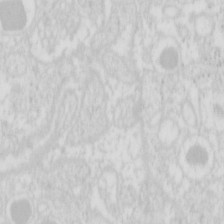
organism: Mouse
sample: Pancreas